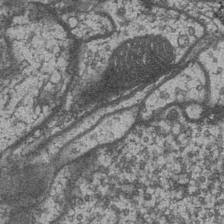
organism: Drosophila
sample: Optic medulla